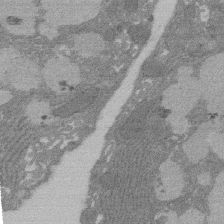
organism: Rat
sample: Salivary granule